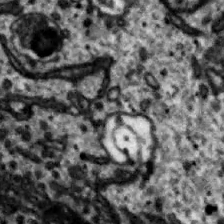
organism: Human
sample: HeLa cells